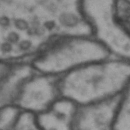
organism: Drosophila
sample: Brain